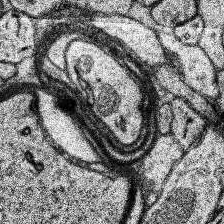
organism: Human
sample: Temporal Lobe